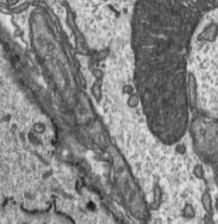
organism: Toxoplasma gondii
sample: Parasites in a vacuole inside a host cell